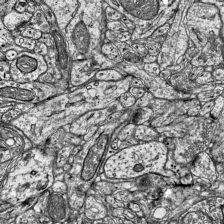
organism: Mouse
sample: Visual Cortex